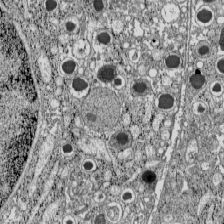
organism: C57BL Mouse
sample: Pancreatic islet